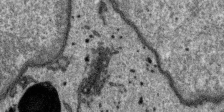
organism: Human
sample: Lung epithelial cells, uninfected (mock) control